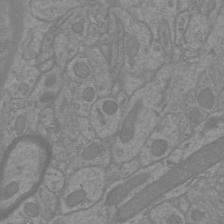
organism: Mouse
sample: Cortical neurons